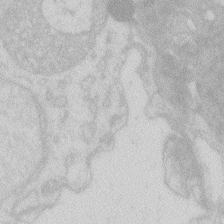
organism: Zebrafish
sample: Macrophage